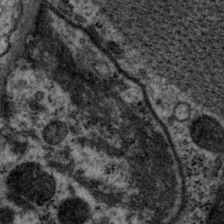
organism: P. pacificus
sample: Pharynx